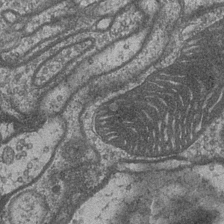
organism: Drosophila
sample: Optic medulla